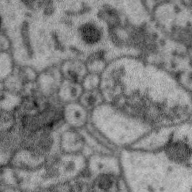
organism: Zebra finch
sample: Brain